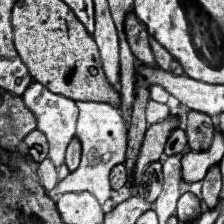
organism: Human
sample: Temporal Lobe